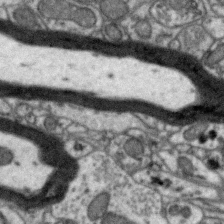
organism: Zebra finch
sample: Brain